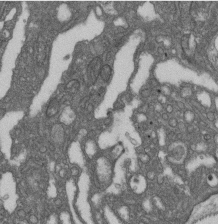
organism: Drosophila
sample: Nephrocyte